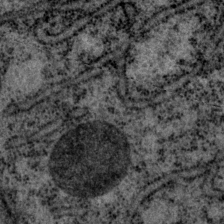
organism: P. pacificus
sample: Pharynx